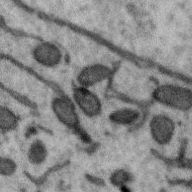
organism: Zebra finch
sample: Brain